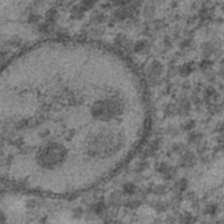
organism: C. elegans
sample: C. elegans embryo